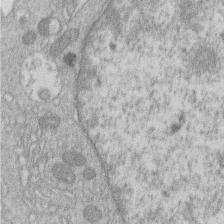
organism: Human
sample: Macrophage cells